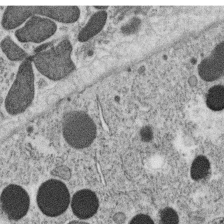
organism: C. elegans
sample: C. elegans oocyte; sperm cells